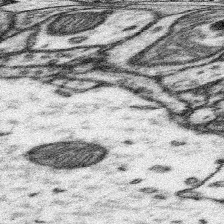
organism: Mouse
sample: Somatosensory cortex neuropil